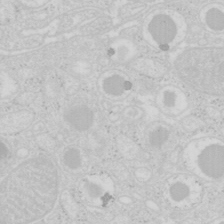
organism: Mouse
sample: Pancreas